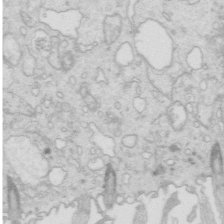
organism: Mouse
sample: Multiciliated cells